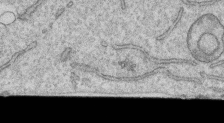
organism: Human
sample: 1205lu cells